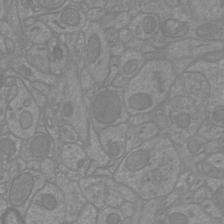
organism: Mouse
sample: Cortical neurons